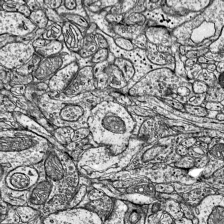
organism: Mouse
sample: Visual Cortex